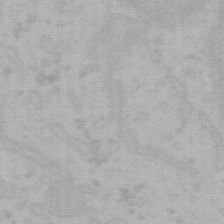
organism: Mouse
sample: Choroid plexus